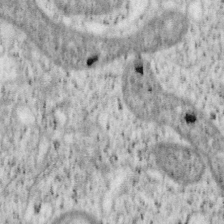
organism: Mouse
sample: OT-I killer T cells with ID8 ovarian cancer cells